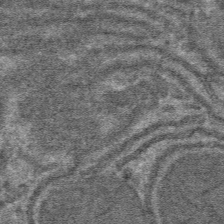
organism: Mouse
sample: Mouse hepatocytes